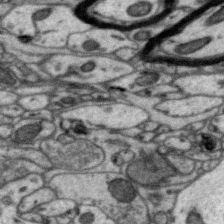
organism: Zebra finch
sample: Brain